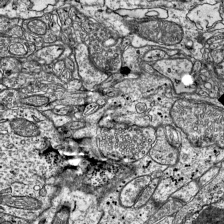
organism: Mouse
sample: Visual Cortex